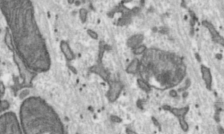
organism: Toxoplasma gondii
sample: Parasites in a vacuole inside a host cell